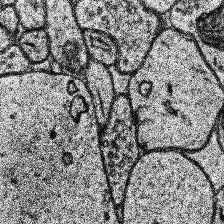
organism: Human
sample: Temporal Lobe